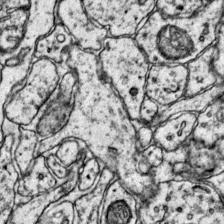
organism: Mouse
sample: Primary visual cortex